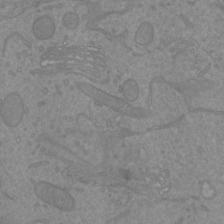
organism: Mouse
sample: Cortical neurons